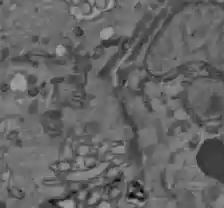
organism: C57BL Mouse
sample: Liver